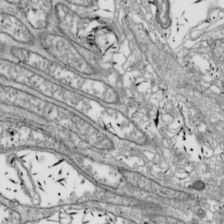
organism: Drosophila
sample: Cell division; meiosis; drosophila spermatocytes